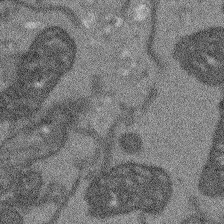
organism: Arabidopsis thaliana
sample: Root tip